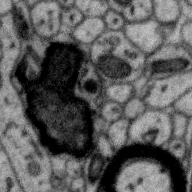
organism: Zebra finch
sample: Brain